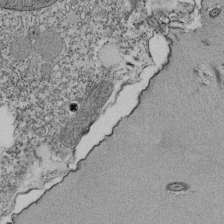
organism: Tetrahymena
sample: Cilia in tetrahymena